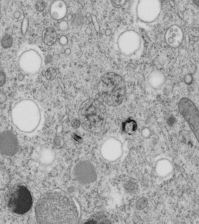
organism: C. elegans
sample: C. elegans embryo early stage